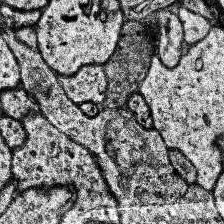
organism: Human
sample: Temporal Lobe